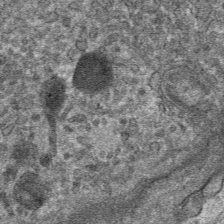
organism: Mouse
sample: Mouse hepatocytes